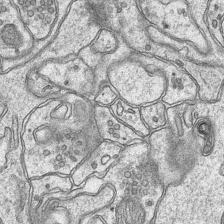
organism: Mouse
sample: CA1 Hippocampus